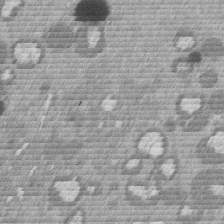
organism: Mouse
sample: Dividing mouse embryo 1 cell stage